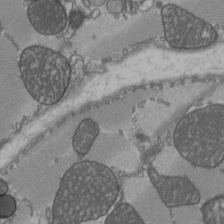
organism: C57BL Mouse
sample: Heart